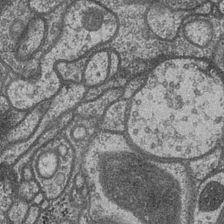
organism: Drosophila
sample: Optic medulla